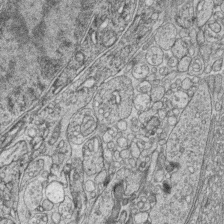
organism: Zebrafish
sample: synaptic ribbons in rod cells and cone cells